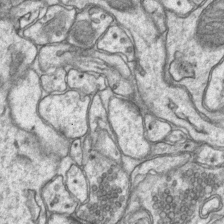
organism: Mouse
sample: CA1 Hippocampus